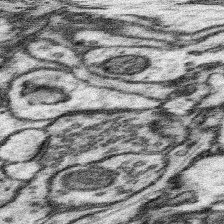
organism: Mouse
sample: Somatosensory cortex neuropil